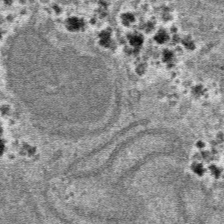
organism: Mouse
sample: Mouse hepatocytes